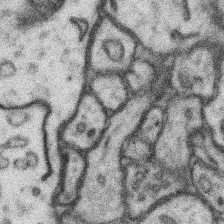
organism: Mouse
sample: Somatosensory cortex neuropil